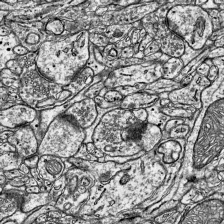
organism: Mouse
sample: Visual Cortex